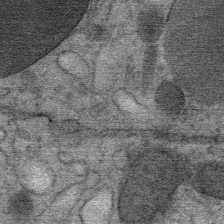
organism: Mouse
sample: Mouse Salivary gland